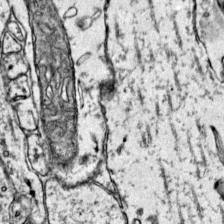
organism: Mouse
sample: Primary visual cortex